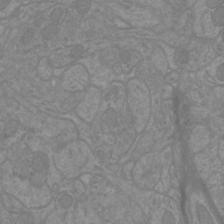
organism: Mouse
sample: Cortical neurons